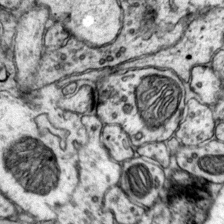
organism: Mouse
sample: Primary visual cortex